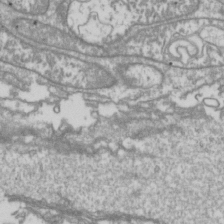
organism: Drosophila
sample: Cell division; meiosis; drosophila spermatocytes